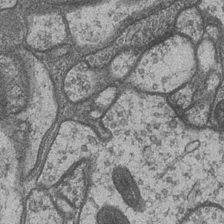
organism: Drosophila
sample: Optic medulla